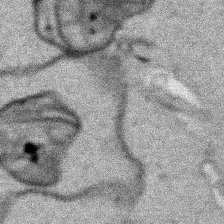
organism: Human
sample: Mitochondria in HCT116 cells